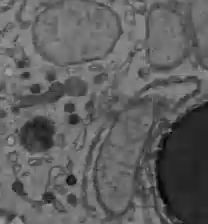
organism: C57BL Mouse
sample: Liver